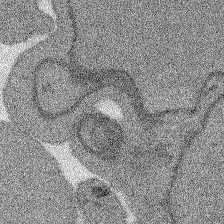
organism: Human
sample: HeLa cells